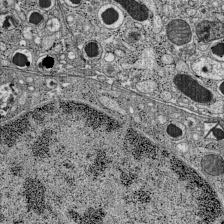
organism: C57BL Mouse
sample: Pancreatic islet